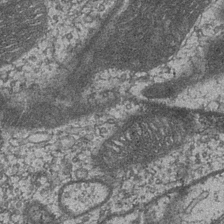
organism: Drosophila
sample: Optic medulla